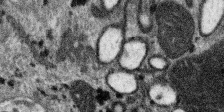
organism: Human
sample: Lung epithelial cells infected with SARS-CoV-2